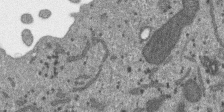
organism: Human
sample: Lung epithelial cells infected with SARS-CoV-2